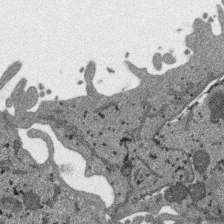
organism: Human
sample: Lung epithelial cells infected with SARS-CoV-2